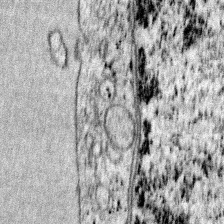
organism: Human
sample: HeLa cells